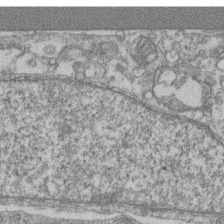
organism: Mouse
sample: T cell stromal cell synapse